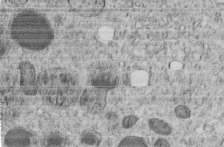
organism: C. elegans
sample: C. elegans embryo early stage